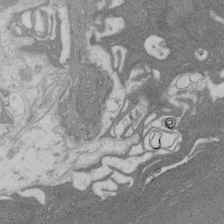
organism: Rat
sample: Salivary granule